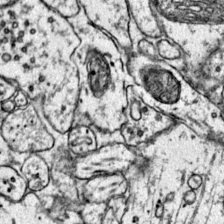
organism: Mouse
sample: Primary visual cortex